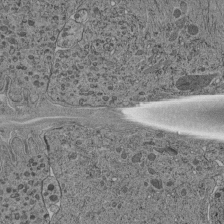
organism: C. elegans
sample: C. elegans pharynx